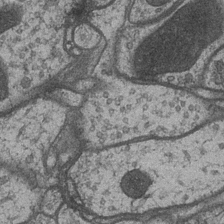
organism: Drosophila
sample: Optic medulla